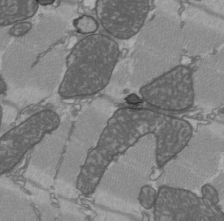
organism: C57BL Mouse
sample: Heart